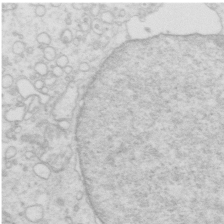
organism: Mouse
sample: Multiciliated cells